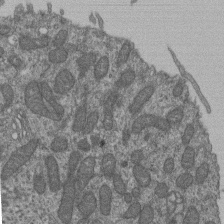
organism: Human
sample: Retinal organoid Rod and Cone cells